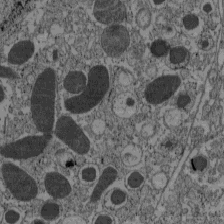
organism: C57BL Mouse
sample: Pancreatic islet